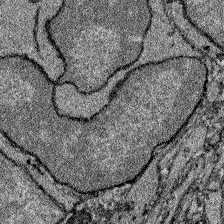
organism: Zebrafish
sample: Larval olfactory bulb